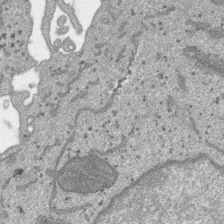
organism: Human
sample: Lung epithelial cells infected with SARS-CoV-2